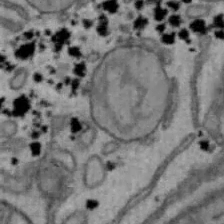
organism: Mouse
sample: Liver